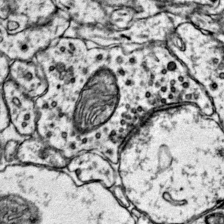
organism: Mouse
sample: Primary visual cortex